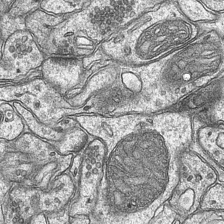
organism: Mouse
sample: CA1 Hippocampus